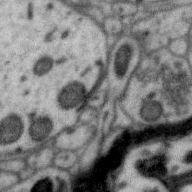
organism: Zebra finch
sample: Brain